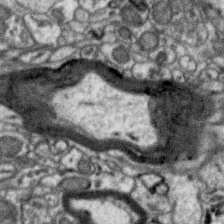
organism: Zebra finch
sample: Brain